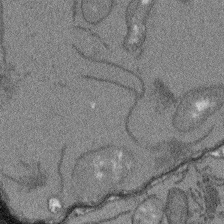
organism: Arabidopsis thaliana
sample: Root tip